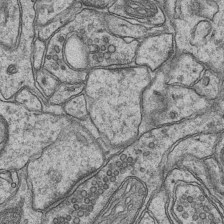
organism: Mouse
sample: CA1 Hippocampus